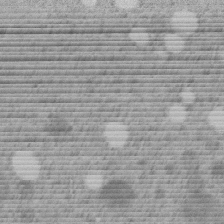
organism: C. elegans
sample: C. elegans embryo early stage